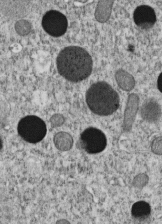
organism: C. elegans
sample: C. elegans embryo early stage